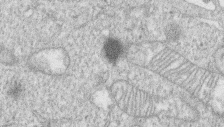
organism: Human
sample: HeLa cell HIV synapse